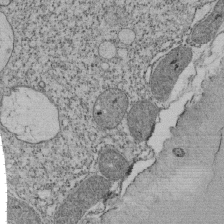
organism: Tetrahymena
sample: Cilia in tetrahymena